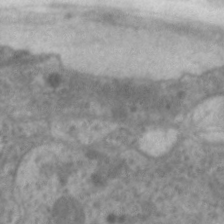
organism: C. elegans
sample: Pharynx